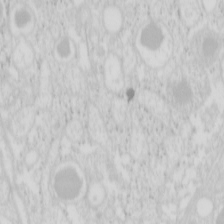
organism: Mouse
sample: Pancreas